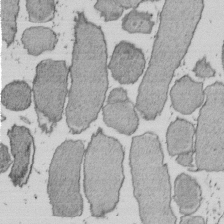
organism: E. coli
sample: Bacterial nucleoid